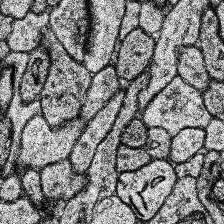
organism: Human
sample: Temporal Lobe